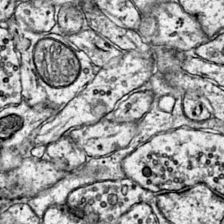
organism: Mouse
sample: Primary visual cortex